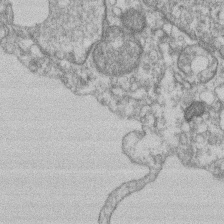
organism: Mouse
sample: T cell stromal cell synapse